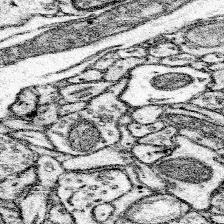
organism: Mouse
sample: Somatosensory cortex neuropil